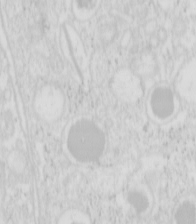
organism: Mouse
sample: Pancreas